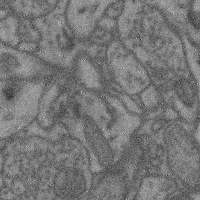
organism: Mouse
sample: Cerebral cortex